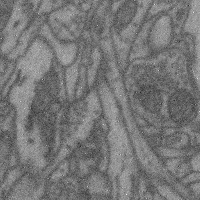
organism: Mouse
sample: Cerebral cortex